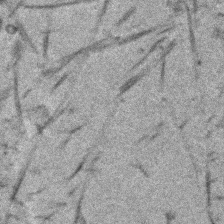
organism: Human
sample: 1205lu cells